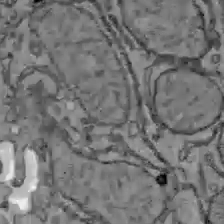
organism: C57BL Mouse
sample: Liver